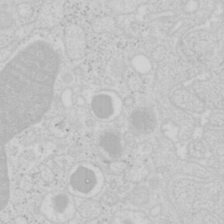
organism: Mouse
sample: Pancreas